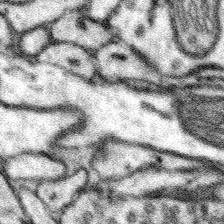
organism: Mouse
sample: Somatosensory cortex neuropil